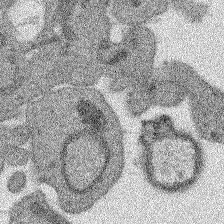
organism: Human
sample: HeLa cells